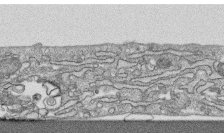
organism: Human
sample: CRL-1474